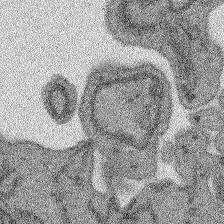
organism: Human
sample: HeLa cells